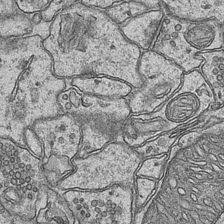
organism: Mouse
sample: CA1 Hippocampus